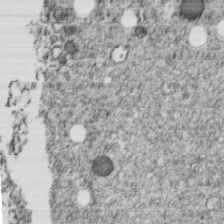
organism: C. elegans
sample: C. elegans embryo early stage